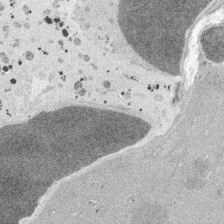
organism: Embia sp.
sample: Silk gland